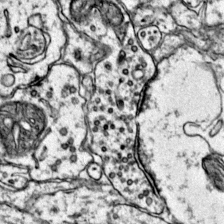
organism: Mouse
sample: Primary visual cortex